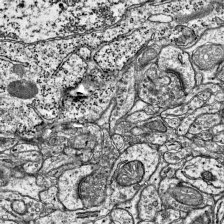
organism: Mouse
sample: Visual Cortex